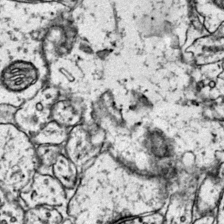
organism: Mouse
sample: Primary visual cortex